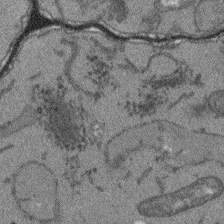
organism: Arabidopsis thaliana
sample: Root tip